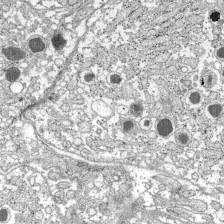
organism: C57BL Mouse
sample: Pancreatic islet